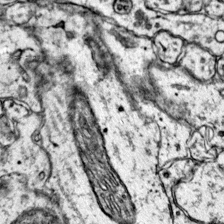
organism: Mouse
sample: Primary visual cortex